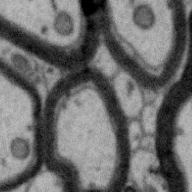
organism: Zebra finch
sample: Brain